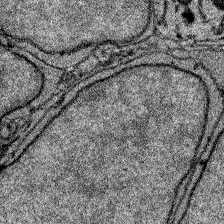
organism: Zebrafish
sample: Larval olfactory bulb